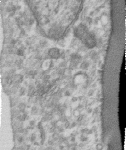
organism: Human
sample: Centriole in RPE cells